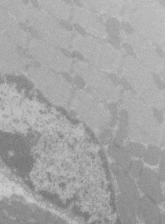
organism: C57BL Mouse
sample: Tibialis anterior muscle cell